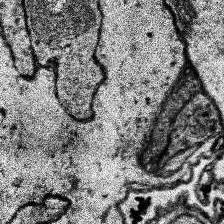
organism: Human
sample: Temporal Lobe